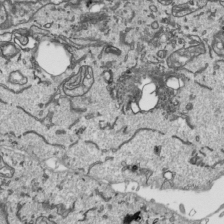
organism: Human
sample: Mitochondria in HCT116 cells